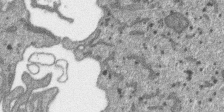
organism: Human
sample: Lung epithelial cells infected with SARS-CoV-2